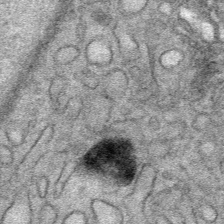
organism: Mouse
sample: Mouse Salivary gland